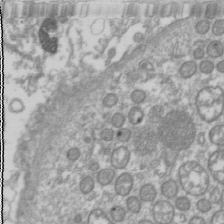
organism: Drosophila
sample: Cell division; meiosis; drosophila spermatocytes